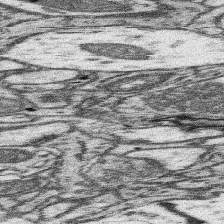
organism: Mouse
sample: Somatosensory cortex neuropil